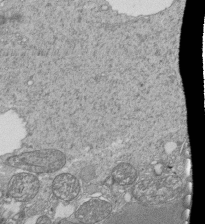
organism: Tetrahymena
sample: Cilia in tetrahymena